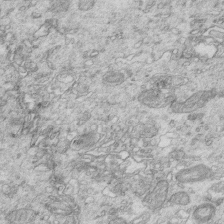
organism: Mouse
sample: Multiciliated cells